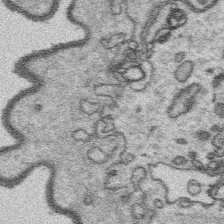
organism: Platynereis dumerilii